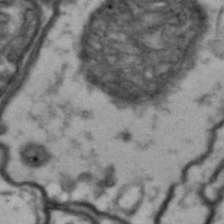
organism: Drosophila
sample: Brain